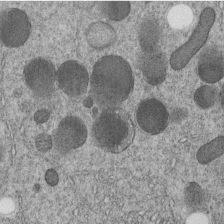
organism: C. elegans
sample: C. elegans embryo early stage